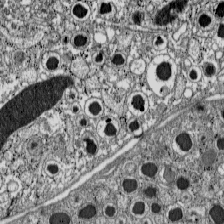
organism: C57BL Mouse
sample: Pancreatic islet